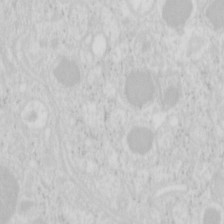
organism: Mouse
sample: Pancreas